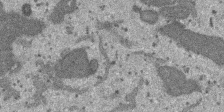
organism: Human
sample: Lung epithelial cells infected with SARS-CoV-2